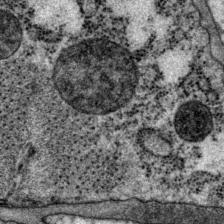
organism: P. pacificus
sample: Pharynx